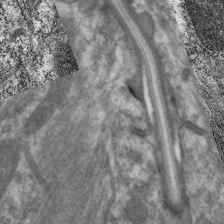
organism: C. elegans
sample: Pharynx